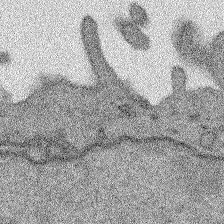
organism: Human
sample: HeLa cells